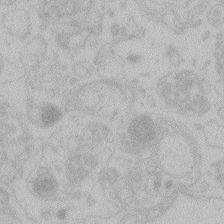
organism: Zebrafish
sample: Macrophage infected with Toxoplasma gondii